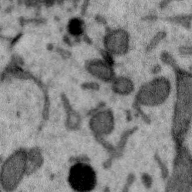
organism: Zebra finch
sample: Brain